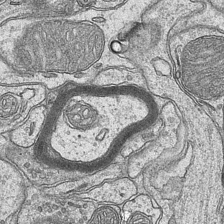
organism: Mouse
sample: CA1 Hippocampus